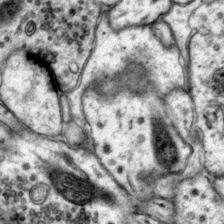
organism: Mouse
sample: Primary visual cortex